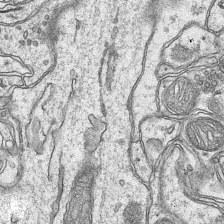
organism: Mouse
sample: CA1 Hippocampus